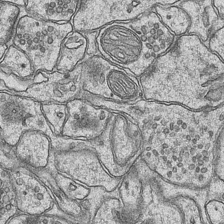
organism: Mouse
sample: CA1 Hippocampus